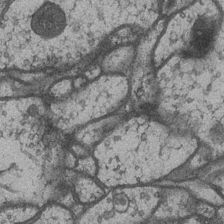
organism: Drosophila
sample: Optic medulla